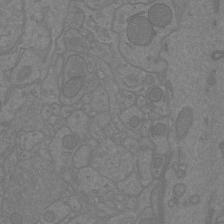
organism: Mouse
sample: Cortical neurons